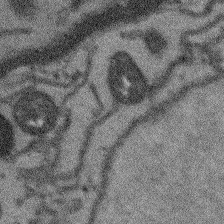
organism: Arabidopsis thaliana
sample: Root tip